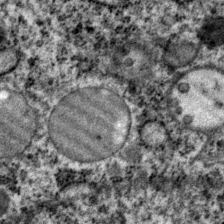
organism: P. pacificus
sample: Pharynx